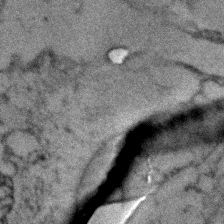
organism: Zebrafish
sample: Zebrafish embryo